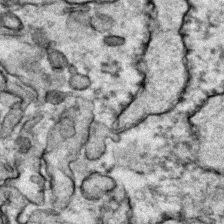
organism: Zebrafish